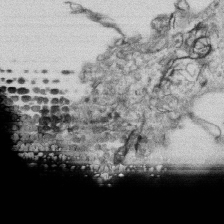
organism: Human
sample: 1205lu cells